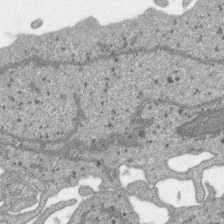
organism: Human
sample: Lung epithelial cells infected with SARS-CoV-2